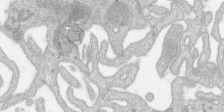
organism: Human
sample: Lung epithelial cells infected with SARS-CoV-2